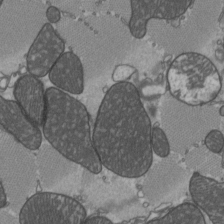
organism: C57BL Mouse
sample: Heart